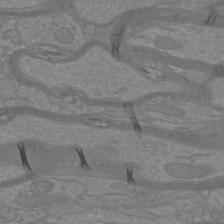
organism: Mouse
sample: Cortical neurons